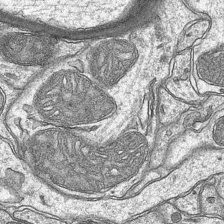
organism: Mouse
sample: CA1 Hippocampus